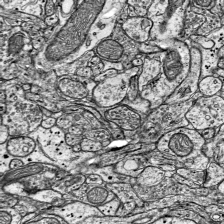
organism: Mouse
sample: Visual Cortex